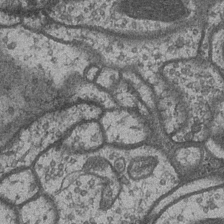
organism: Drosophila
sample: Optic medulla